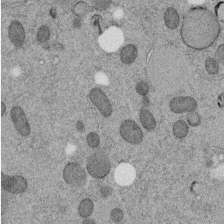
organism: C. elegans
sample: C. elegans embryo early stage